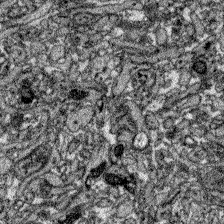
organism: Zebrafish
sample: Larval olfactory bulb